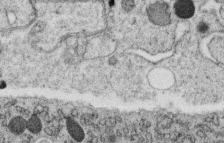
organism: C. elegans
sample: C. elegans oocyte; sperm cells